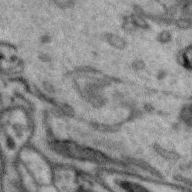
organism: Zebra finch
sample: Brain